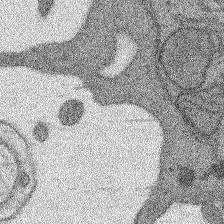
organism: Human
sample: HeLa cells